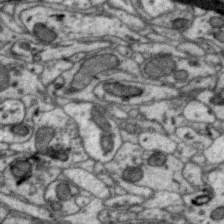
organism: Zebra finch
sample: Brain